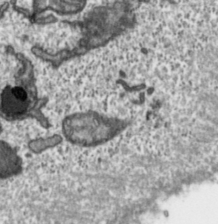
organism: Toxoplasma gondii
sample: Parasites in a vacuole inside a host cell